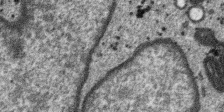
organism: Human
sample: Lung epithelial cells infected with SARS-CoV-2